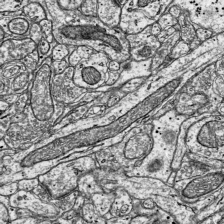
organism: Mouse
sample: Visual Cortex